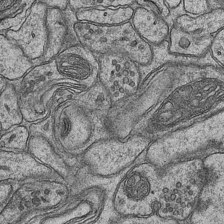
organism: Mouse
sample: CA1 Hippocampus